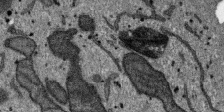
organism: Human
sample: Lung epithelial cells, uninfected (mock) control